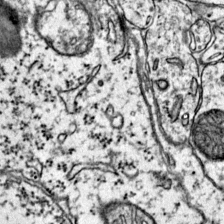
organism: Mouse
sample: Primary visual cortex